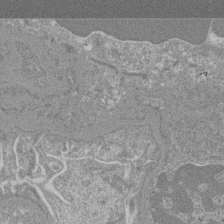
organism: Mouse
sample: Glomerulus